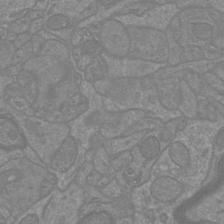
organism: Mouse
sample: Cortical neurons